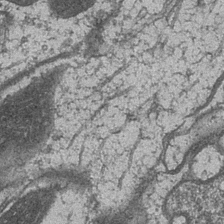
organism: Drosophila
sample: Optic medulla